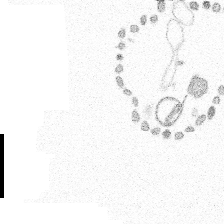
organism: Spongilla lacustris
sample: Multiple